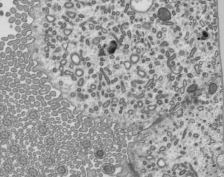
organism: Mouse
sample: Mouse epididymis efferent ductule cilia